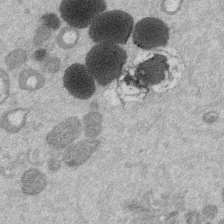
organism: Mouse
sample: Dividing mouse embryo 1 cell stage